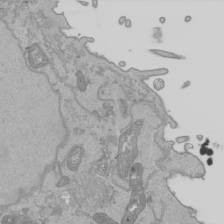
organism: Human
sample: Mitochondria in HCT116 cells